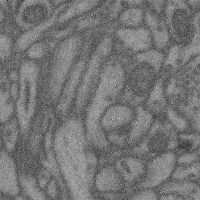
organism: Mouse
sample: Cerebral cortex